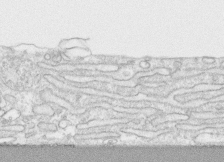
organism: Human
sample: CRL-1474